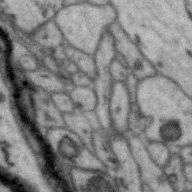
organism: Zebra finch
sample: Brain